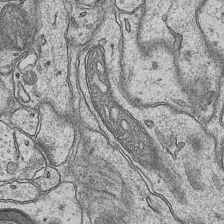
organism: Mouse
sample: CA1 Hippocampus